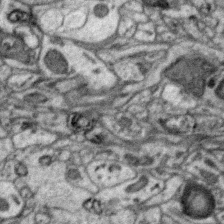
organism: Zebra finch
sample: Brain